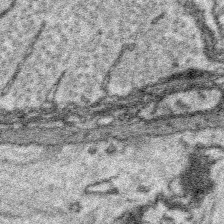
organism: Platynereis dumerilii